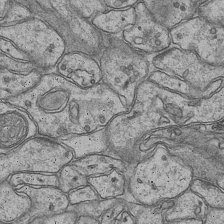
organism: Mouse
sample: CA1 Hippocampus